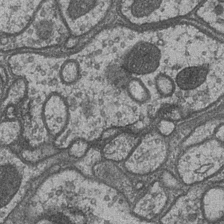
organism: Drosophila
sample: Optic medulla